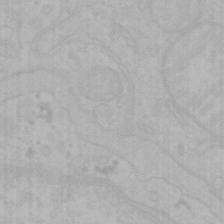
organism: Mouse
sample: Choroid plexus